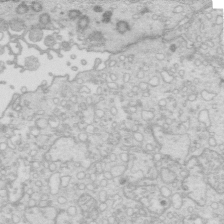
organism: Mouse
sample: Multiciliated cells